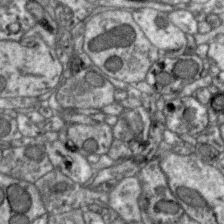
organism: Zebra finch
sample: Brain